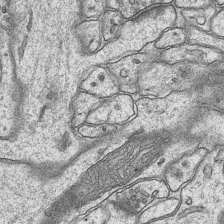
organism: Mouse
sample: CA1 Hippocampus